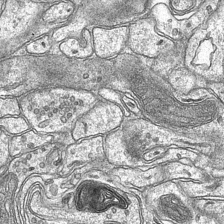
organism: Mouse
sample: CA1 Hippocampus